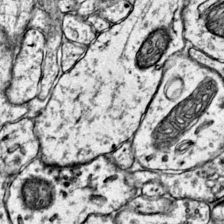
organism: Mouse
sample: Primary visual cortex